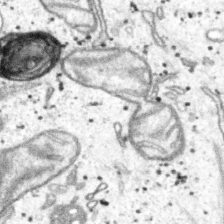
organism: Human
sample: HeLa cells